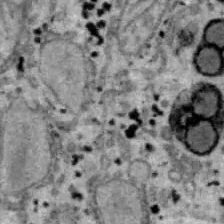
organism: Mouse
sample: Liver from an obese (ob/ob) mouse